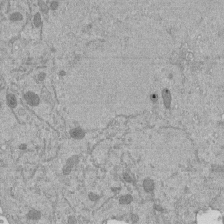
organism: Mouse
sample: ED-1 cell nuclei; centrioles